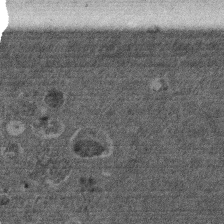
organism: Mouse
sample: Dividing mouse embryo 1 cell stage